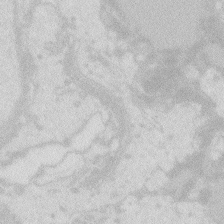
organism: Zebrafish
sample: Macrophage